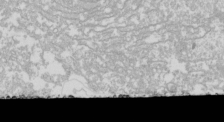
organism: Drosophila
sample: Cell division; meiosis; drosophila spermatocytes